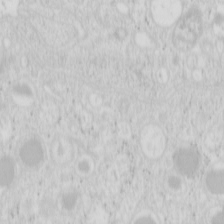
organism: Mouse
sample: Pancreas